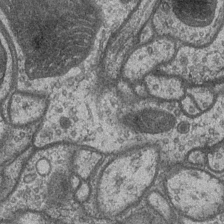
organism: Drosophila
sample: Optic medulla